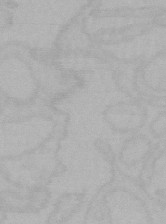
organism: Mouse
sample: Choroid plexus